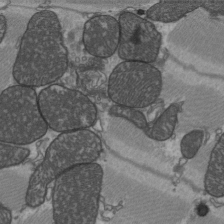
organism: C57BL Mouse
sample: Heart